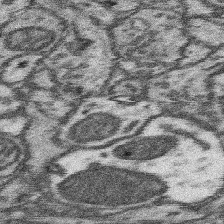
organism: Mouse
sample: Somatosensory cortex neuropil